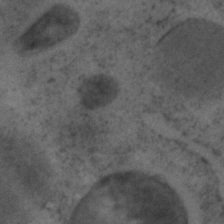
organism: C. elegans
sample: C. elegans embryo